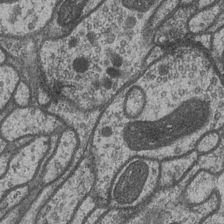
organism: Drosophila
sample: Optic medulla